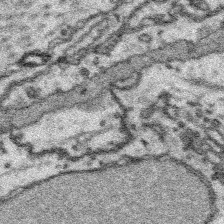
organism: Platynereis dumerilii